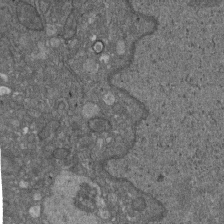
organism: Drosophila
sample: Nephrocyte